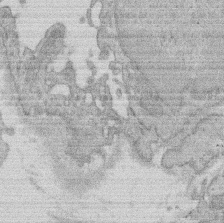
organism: Rat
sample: Salivary granule